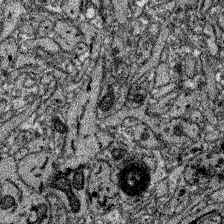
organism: Zebrafish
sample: Larval olfactory bulb